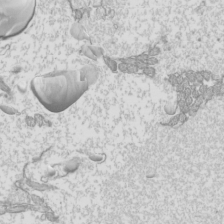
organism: Mouse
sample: Cilia; mouse epididymis